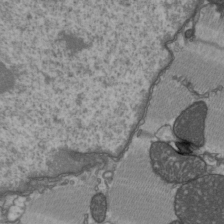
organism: C57BL Mouse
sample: Heart